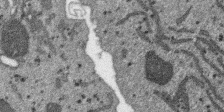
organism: Human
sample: Lung epithelial cells infected with SARS-CoV-2